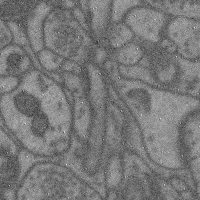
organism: Mouse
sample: Cerebral cortex